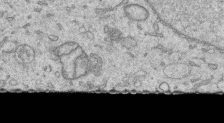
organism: Human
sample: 1205lu cells